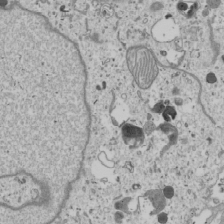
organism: Human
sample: Mitochondria in U2OS cells